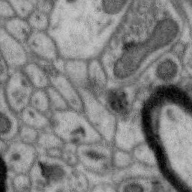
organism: Zebra finch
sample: Brain